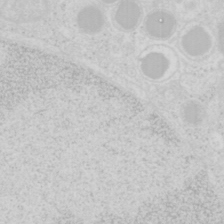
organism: Mouse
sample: Pancreas